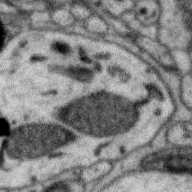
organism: Zebra finch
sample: Brain